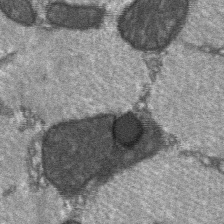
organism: C57BL Mouse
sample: Soleus